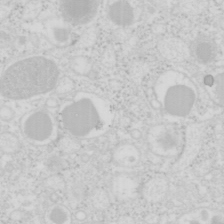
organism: Mouse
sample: Pancreas